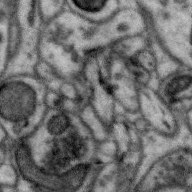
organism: Zebra finch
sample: Brain